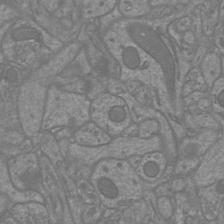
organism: Mouse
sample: Cortical neurons